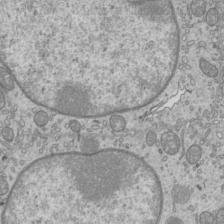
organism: Mouse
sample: Cilia; mouse epididymis